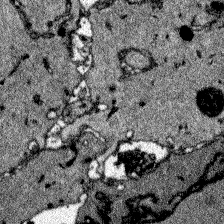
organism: Zebrafish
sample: Larval olfactory bulb